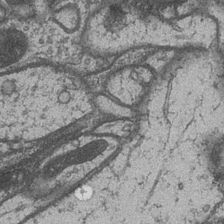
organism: Drosophila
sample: Optic medulla